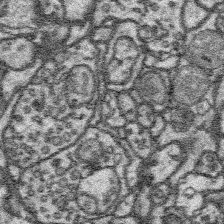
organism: Platynereis dumerilii